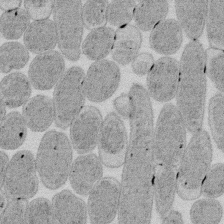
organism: E. coli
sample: Bacterial nucleoid